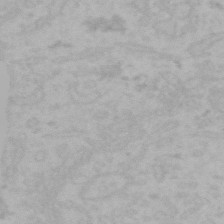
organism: Mouse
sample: Choroid plexus